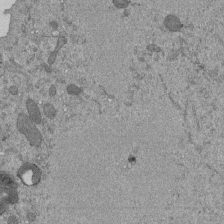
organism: Mouse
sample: ED-1 cell nuclei; centrioles